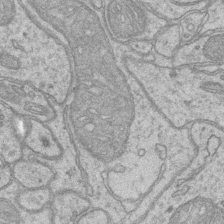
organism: Mouse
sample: CA1 Hippocampus